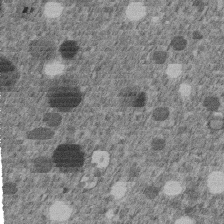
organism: C. elegans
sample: C. elegans embryo early stage